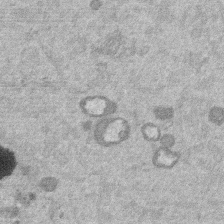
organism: Mouse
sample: Dividing mouse embryo 1 cell stage